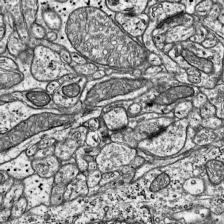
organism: Mouse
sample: Visual Cortex